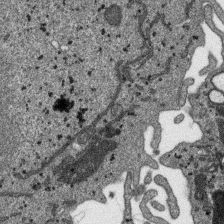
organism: Human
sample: Lung epithelial cells infected with SARS-CoV-2